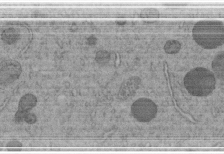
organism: C. elegans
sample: C. elegans embryo early stage